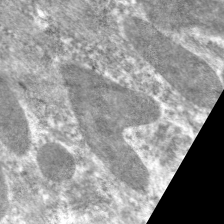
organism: C. elegans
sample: Pharynx